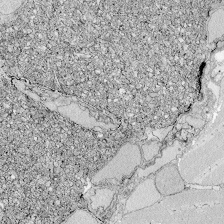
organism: Zebrafish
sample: Whole-Brain